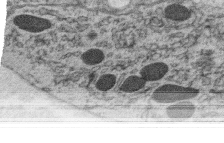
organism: C. elegans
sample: C. elegans oocyte; sperm cells